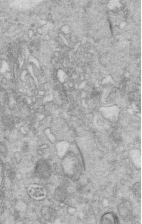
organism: Mouse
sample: Multiciliated cells